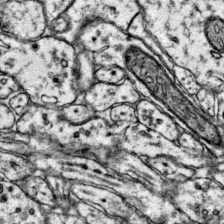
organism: Mouse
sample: Primary visual cortex